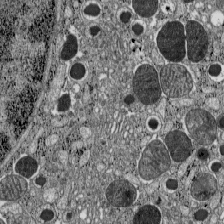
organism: C57BL Mouse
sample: Pancreatic islet